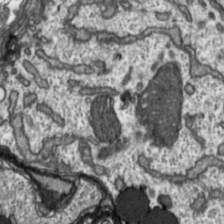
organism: Toxoplasma gondii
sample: Parasites in a vacuole inside a host cell